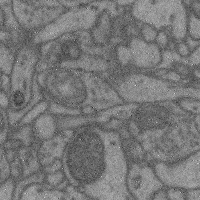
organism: Mouse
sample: Cerebral cortex